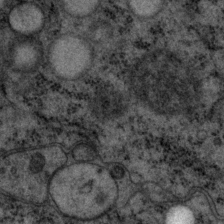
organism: P. pacificus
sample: Pharynx